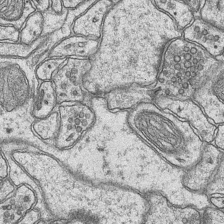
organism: Mouse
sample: CA1 Hippocampus